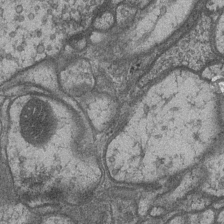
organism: Drosophila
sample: Optic medulla